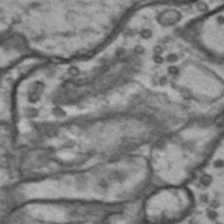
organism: Drosophila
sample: Brain